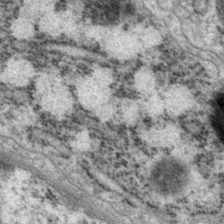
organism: P. pacificus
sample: Pharynx